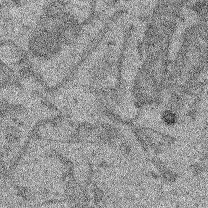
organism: Human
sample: HeLa cells